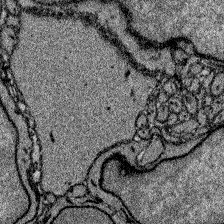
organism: Zebrafish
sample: Larval olfactory bulb